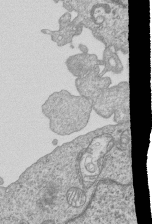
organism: Human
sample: MDA-MB-231 cells